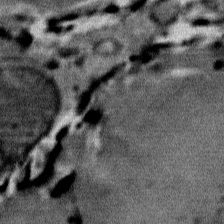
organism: Mouse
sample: Mouse Salivary gland